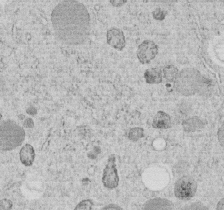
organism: C. elegans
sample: C. elegans embryo early stage